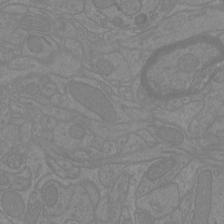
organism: Mouse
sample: Cortical neurons